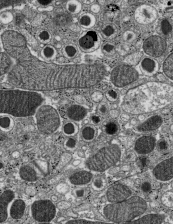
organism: C57BL Mouse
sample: Pancreatic islet